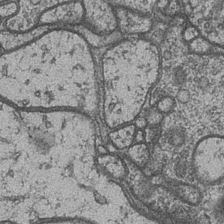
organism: Drosophila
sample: Optic medulla